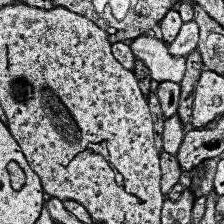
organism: Human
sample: Temporal Lobe